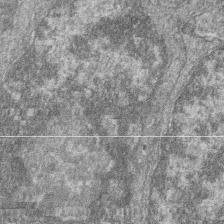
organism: Zebrafish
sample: Cilia; retinal pigment epithelium